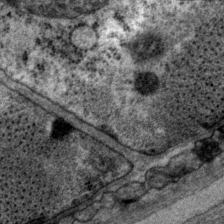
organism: P. pacificus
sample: Pharynx